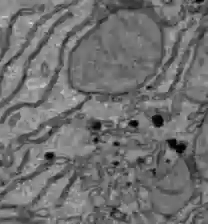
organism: C57BL Mouse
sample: Liver